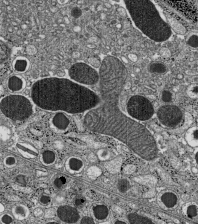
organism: C57BL Mouse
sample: Pancreatic islet